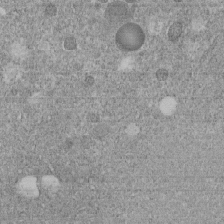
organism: C. elegans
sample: C. elegans embryo early stage